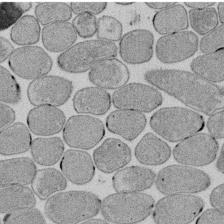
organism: E. coli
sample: Bacterial nucleoid